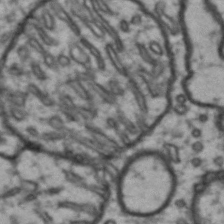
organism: Drosophila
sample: Brain